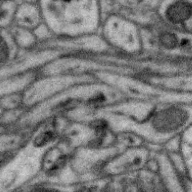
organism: Zebra finch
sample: Brain